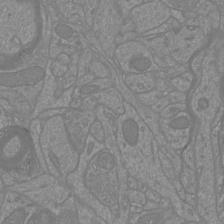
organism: Mouse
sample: Cortical neurons